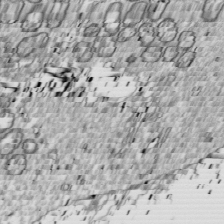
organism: Drosophila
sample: Cell division; meiosis; drosophila spermatocytes